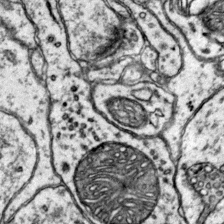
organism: Mouse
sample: Primary visual cortex